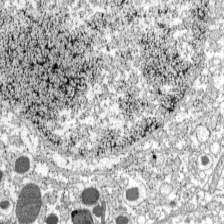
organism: C57BL Mouse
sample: Pancreatic islet